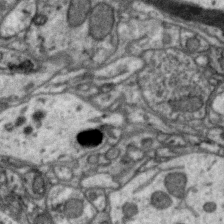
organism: Zebra finch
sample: Brain